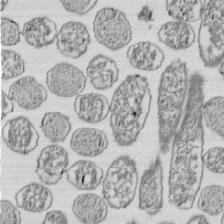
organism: E. coli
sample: Bacterial nucleoid